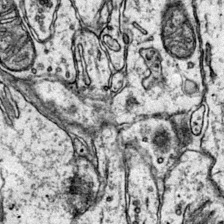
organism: Mouse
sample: Primary visual cortex